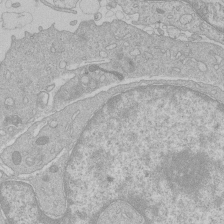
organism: Human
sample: Macrophage cells